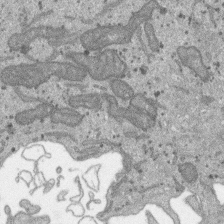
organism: Human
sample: Lung epithelial cells infected with SARS-CoV-2